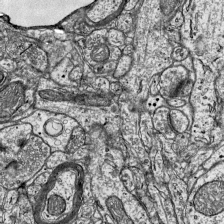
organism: Mouse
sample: Visual Cortex